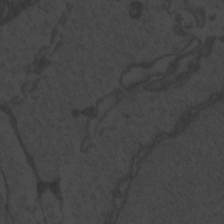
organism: Zebrafish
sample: Macrophage infected with Toxoplasma gondii